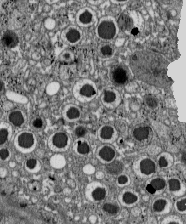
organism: C57BL Mouse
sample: Pancreatic islet